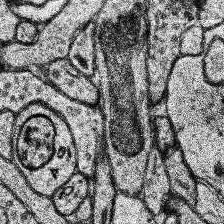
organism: Human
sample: Temporal Lobe